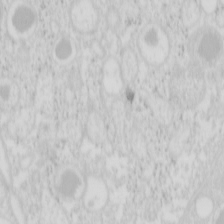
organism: Mouse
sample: Pancreas